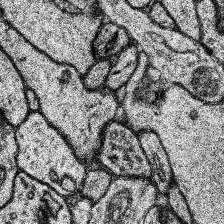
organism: Human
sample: Temporal Lobe